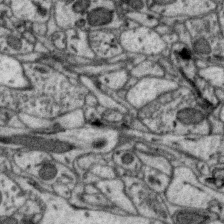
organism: Zebra finch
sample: Brain